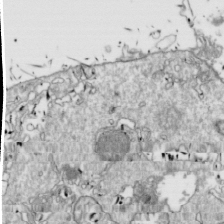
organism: Drosophila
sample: Cell division; meiosis; drosophila spermatocytes